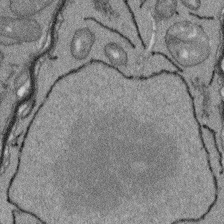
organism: Arabidopsis thaliana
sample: Root tip